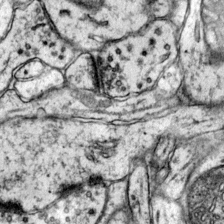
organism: Mouse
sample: Primary visual cortex